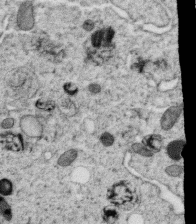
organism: C. elegans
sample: C. elegans oocyte; sperm cells